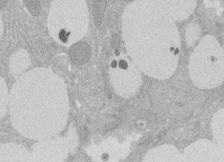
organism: Rat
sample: Salivary granule